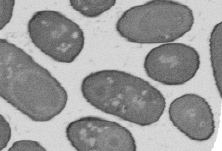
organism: B. subtilis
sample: Bacterial spore